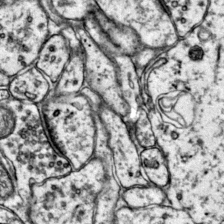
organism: Mouse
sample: Primary visual cortex